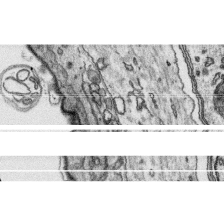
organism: Platynereis dumerilii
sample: Parapodia